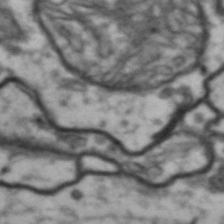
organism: Drosophila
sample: Brain